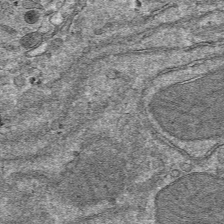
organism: Mouse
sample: Mouse hepatocytes